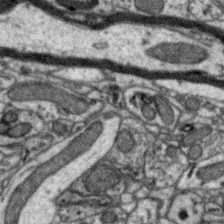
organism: Zebra finch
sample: Brain